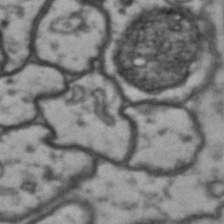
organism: Drosophila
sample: Brain